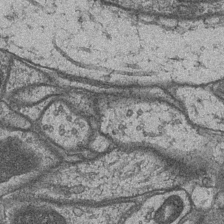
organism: Drosophila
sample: Optic medulla